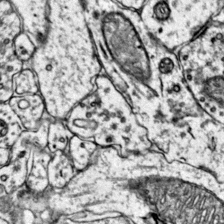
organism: Mouse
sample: Primary visual cortex